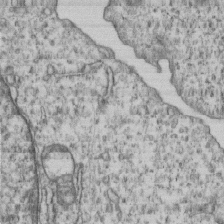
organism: Human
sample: MDA-MB-231 cells